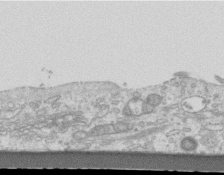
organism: Mouse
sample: Centriole in ependymal cells